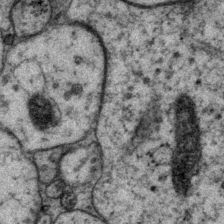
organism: P. pacificus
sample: Pharynx